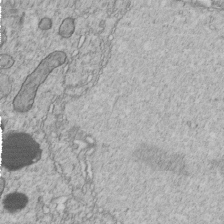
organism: C. elegans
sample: C. elegans embryo early stage